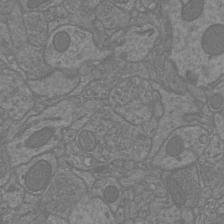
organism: Mouse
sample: Cortical neurons